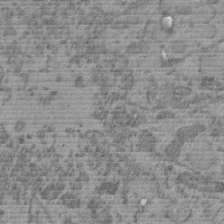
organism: C. elegans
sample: C. elegans embryo early stage